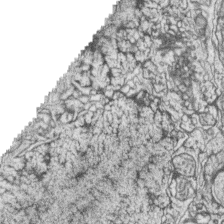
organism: Zebrafish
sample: synaptic ribbons in rod cells and cone cells